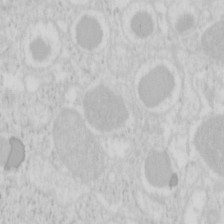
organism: Mouse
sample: Pancreas